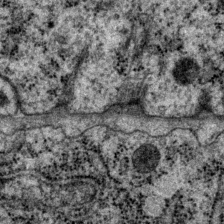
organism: P. pacificus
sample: Pharynx